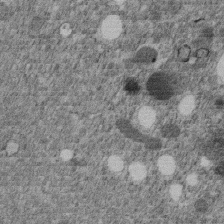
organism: C. elegans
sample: C. elegans embryo early stage